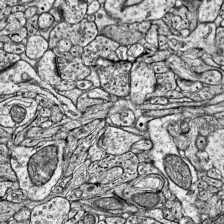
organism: Mouse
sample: Visual Cortex